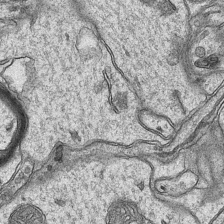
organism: Mouse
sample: CA1 Hippocampus